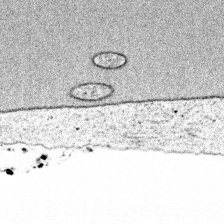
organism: Human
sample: HeLa cells